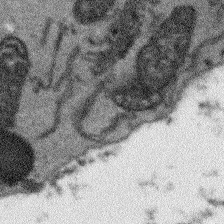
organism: Arabidopsis thaliana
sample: Root tip